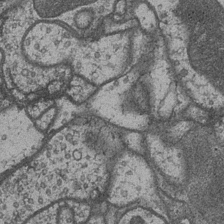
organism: Drosophila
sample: Optic medulla